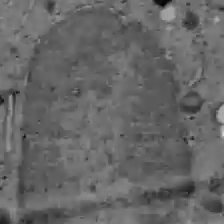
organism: C57BL Mouse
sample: Liver